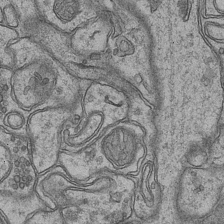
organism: Mouse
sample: CA1 Hippocampus